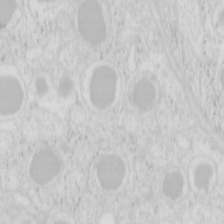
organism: Mouse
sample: Pancreas